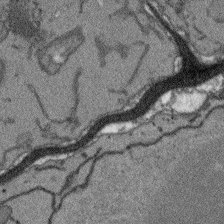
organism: Arabidopsis thaliana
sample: Root tip